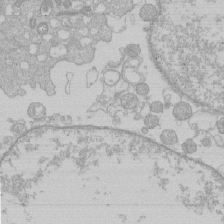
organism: Human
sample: Macrophage cells